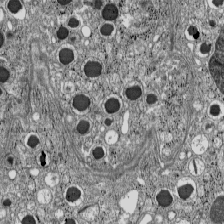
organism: C57BL Mouse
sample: Pancreatic islet